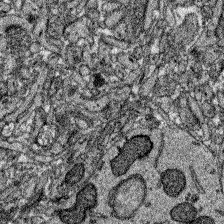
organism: Zebrafish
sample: Larval olfactory bulb